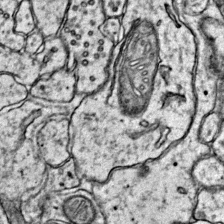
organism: Mouse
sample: Primary visual cortex